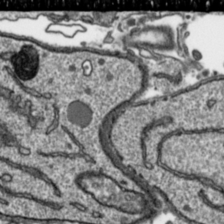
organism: Toxoplasma gondii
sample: Parasites in a vacuole inside a host cell